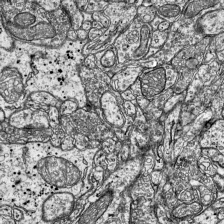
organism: Mouse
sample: Visual Cortex